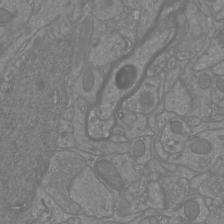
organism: Mouse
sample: Cortical neurons